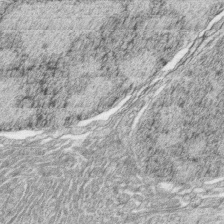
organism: Zebrafish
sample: synaptic ribbons in rod cells and cone cells